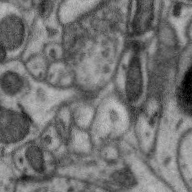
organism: Zebra finch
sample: Brain